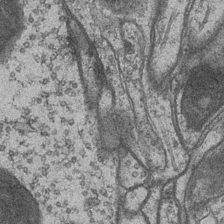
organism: Drosophila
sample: Optic medulla